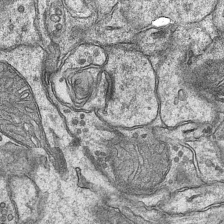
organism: Mouse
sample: CA1 Hippocampus